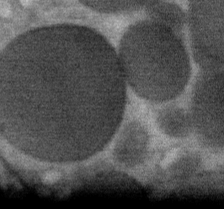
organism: Mouse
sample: Mouse Salivary gland